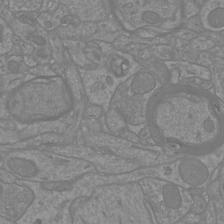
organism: Mouse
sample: Cortical neurons